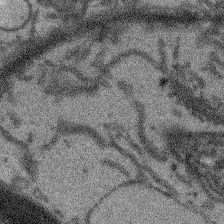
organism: Arabidopsis thaliana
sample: Root tip